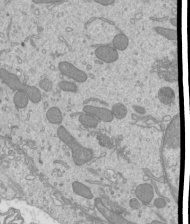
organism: Mouse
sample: Cilia; mouse epididymis